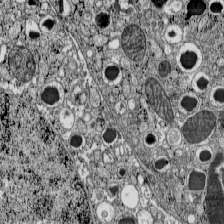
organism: C57BL Mouse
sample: Pancreatic islet